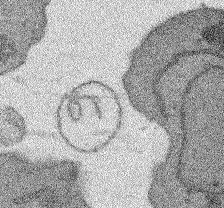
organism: Human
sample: HeLa cells